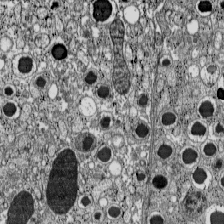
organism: C57BL Mouse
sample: Pancreatic islet